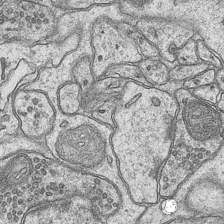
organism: Mouse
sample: CA1 Hippocampus